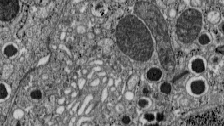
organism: C57BL Mouse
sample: Pancreatic islet